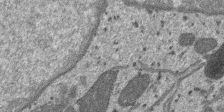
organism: Human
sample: Lung epithelial cells infected with SARS-CoV-2